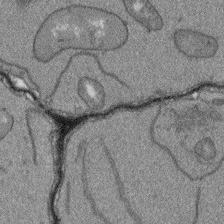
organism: Arabidopsis thaliana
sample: Root tip